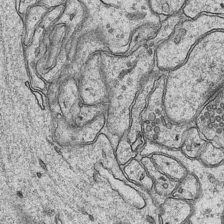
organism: Mouse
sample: CA1 Hippocampus